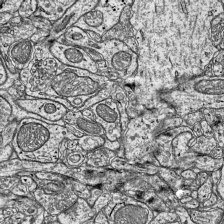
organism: Mouse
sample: Visual Cortex